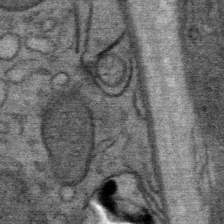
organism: Mouse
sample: Mouse Salivary gland